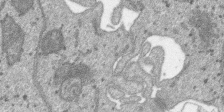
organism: Human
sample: Lung epithelial cells infected with SARS-CoV-2